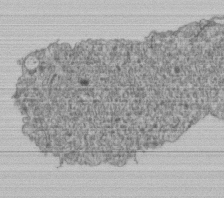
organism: Human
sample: Retinal organoid Rod and Cone cells